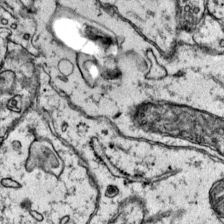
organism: Mouse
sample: Primary visual cortex